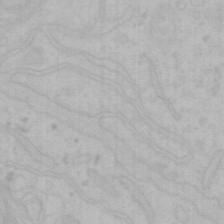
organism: Mouse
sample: Choroid plexus